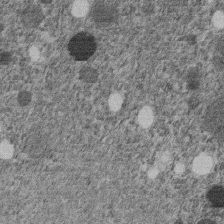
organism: C. elegans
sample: C. elegans embryo early stage